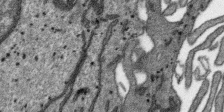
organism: Human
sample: Lung epithelial cells, uninfected (mock) control